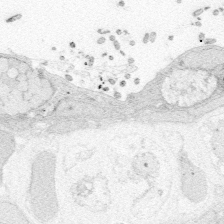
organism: Zebrafish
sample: Whole-Brain